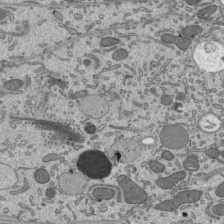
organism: Mouse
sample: Mouse epididymis efferent ductule cilia